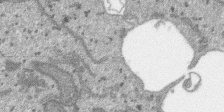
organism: Human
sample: Lung epithelial cells infected with SARS-CoV-2